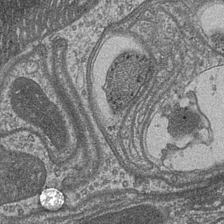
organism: Drosophila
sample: Optic medulla